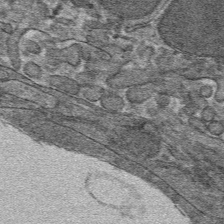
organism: Mouse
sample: Mouse hepatocytes